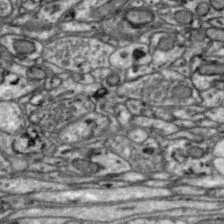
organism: Zebra finch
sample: Brain